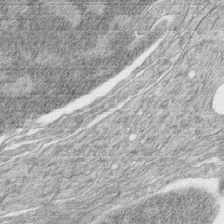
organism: Zebrafish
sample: synaptic ribbons in rod cells and cone cells